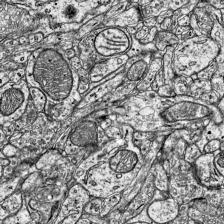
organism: Mouse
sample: Visual Cortex